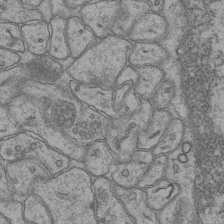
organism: Mouse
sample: CA1 Hippocampus